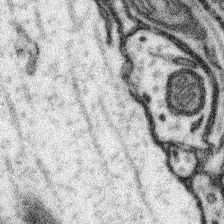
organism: Mouse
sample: Somatosensory cortex neuropil